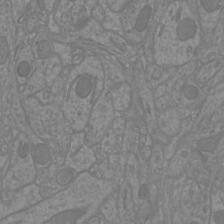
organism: Mouse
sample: Cortical neurons